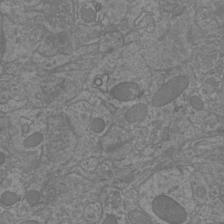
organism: Mouse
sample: Cortical neurons